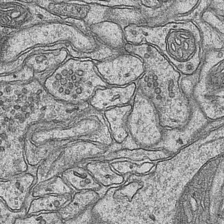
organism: Mouse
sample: CA1 Hippocampus